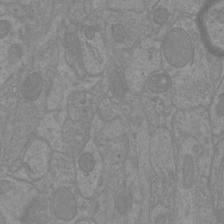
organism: Mouse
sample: Cortical neurons